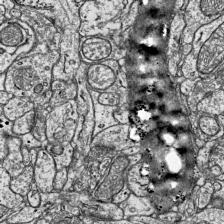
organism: Mouse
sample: Visual Cortex